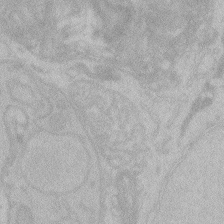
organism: Zebrafish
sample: Macrophage infected with Toxoplasma gondii